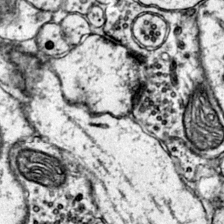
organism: Mouse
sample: Primary visual cortex